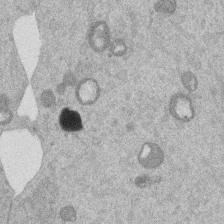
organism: Mouse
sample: Dividing mouse embryo 1 cell stage